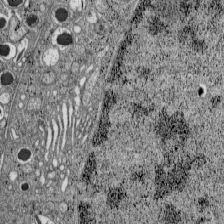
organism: C57BL Mouse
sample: Pancreatic islet